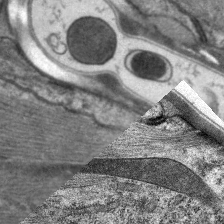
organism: C. elegans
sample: Pharynx